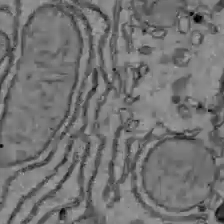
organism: C57BL Mouse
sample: Liver